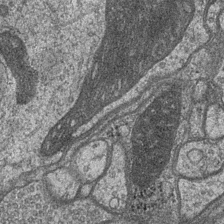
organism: Drosophila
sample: Optic medulla